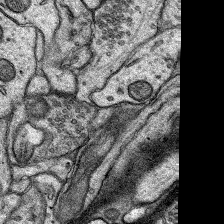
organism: Rat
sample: Hippocampus